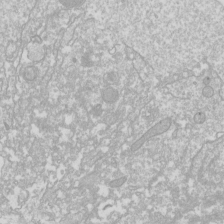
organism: Drosophila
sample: Cell division; meiosis; drosophila spermatocytes